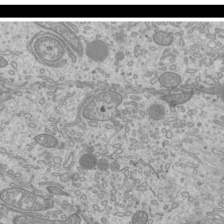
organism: Mouse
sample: Cilia; mouse epididymis